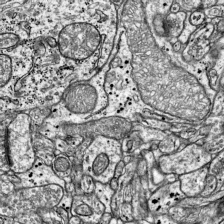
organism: Mouse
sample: Visual Cortex